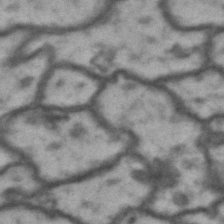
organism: Drosophila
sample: Brain